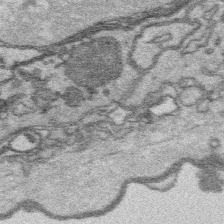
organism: Platynereis dumerilii